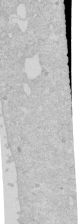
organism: Human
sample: Caco-2 cells